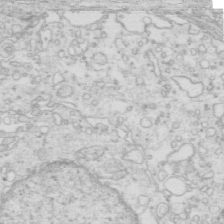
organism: Mouse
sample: Multiciliated cells